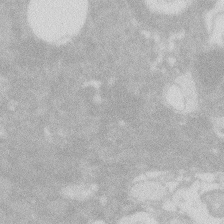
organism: Zebrafish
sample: Macrophage